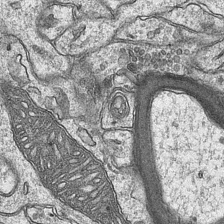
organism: Mouse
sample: CA1 Hippocampus